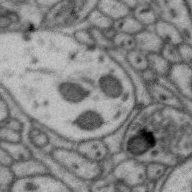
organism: Zebra finch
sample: Brain